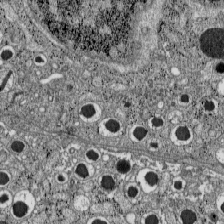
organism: C57BL Mouse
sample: Pancreatic islet